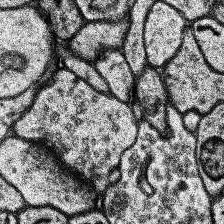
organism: Human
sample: Temporal Lobe